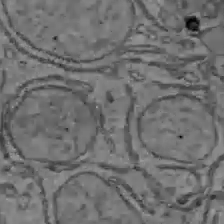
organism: C57BL Mouse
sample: Liver